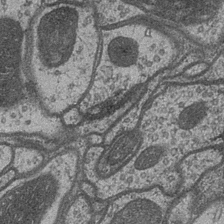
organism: Drosophila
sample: Optic medulla